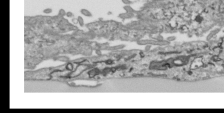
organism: Human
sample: Mitochondria in HCT116 cells